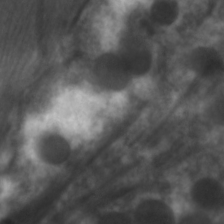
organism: C. elegans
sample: Pharynx